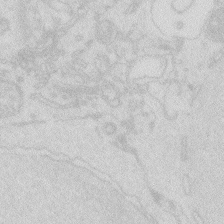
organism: Zebrafish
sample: Macrophage